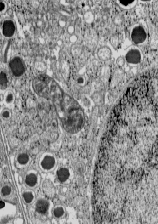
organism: C57BL Mouse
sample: Pancreatic islet